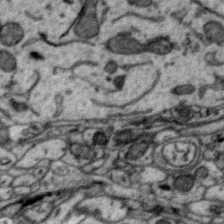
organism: Zebra finch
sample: Brain